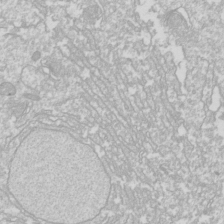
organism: Drosophila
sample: Cell division; meiosis; drosophila spermatocytes